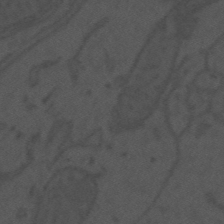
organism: Mouse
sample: Suprachiasmatic nucleus